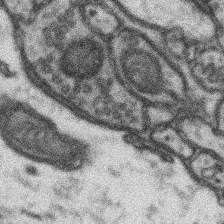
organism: Mouse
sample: Somatosensory cortex neuropil